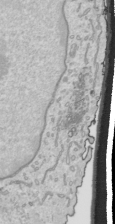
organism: Human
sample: Mitochondria in HCT116 cells